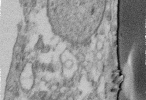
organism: Human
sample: Centriole in fibroblast cells